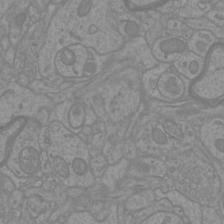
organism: Mouse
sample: Cortical neurons